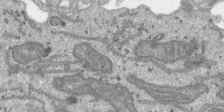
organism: Human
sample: Lung epithelial cells infected with SARS-CoV-2